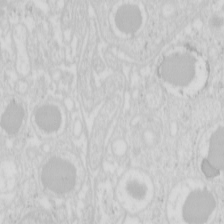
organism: Mouse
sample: Pancreas